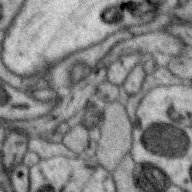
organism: Zebra finch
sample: Brain